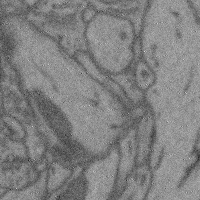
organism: Mouse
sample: Cerebral cortex